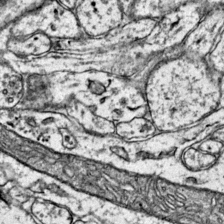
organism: Mouse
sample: Primary visual cortex